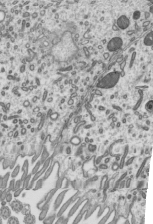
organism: Mouse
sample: Mouse epididymis efferent ductule cilia